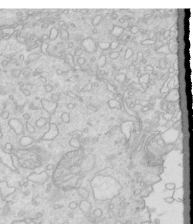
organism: Mouse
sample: Multiciliated cells